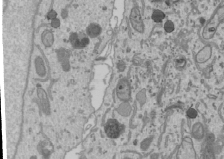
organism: Human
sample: Mitochondria in U2OS cells